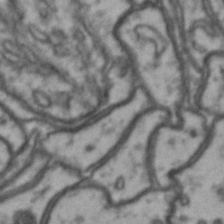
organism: Drosophila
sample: Brain